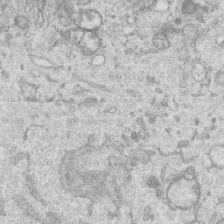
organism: Human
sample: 1205lu cells